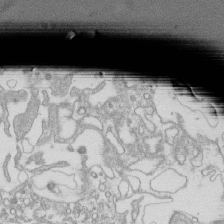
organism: Mouse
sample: Macrophages